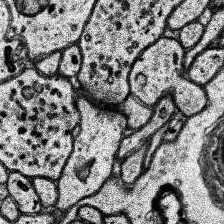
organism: Human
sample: Temporal Lobe